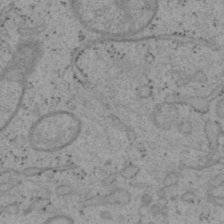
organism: Human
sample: HeLa cells